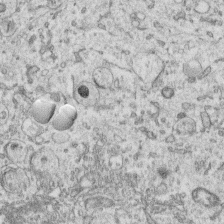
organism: Human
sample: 1205lu cells